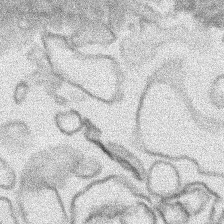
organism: Human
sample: Mitochondria in HCT116 cells